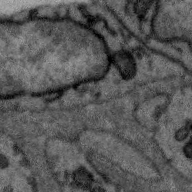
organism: Zebra finch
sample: Brain